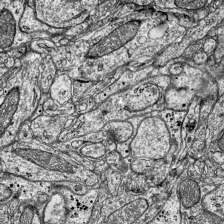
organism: Mouse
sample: Visual Cortex